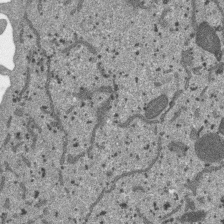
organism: Human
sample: Lung epithelial cells infected with SARS-CoV-2